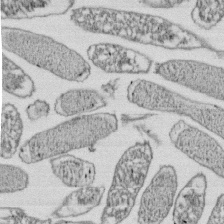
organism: E. coli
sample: Bacterial nucleoid